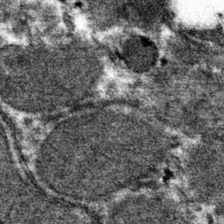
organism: Mouse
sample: Mouse hepatocytes